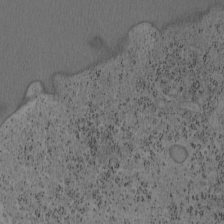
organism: Mouse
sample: OT-I killer T cells with ID8 ovarian cancer cells